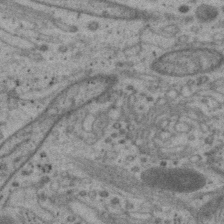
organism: Human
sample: HeLa cells